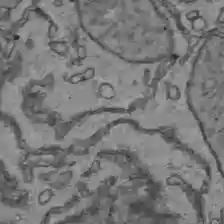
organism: C57BL Mouse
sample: Liver